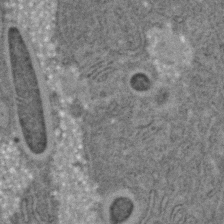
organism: C. elegans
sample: C. elegans embryo